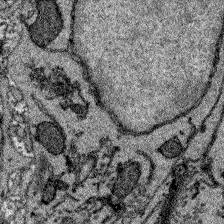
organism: Zebrafish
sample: Larval olfactory bulb